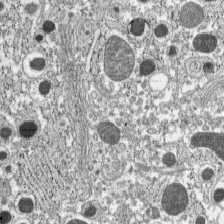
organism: C57BL Mouse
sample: Pancreatic islet